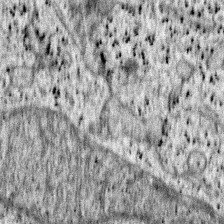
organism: Human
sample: HeLa cells